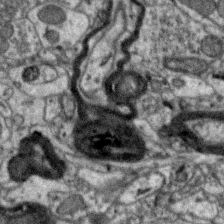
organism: Zebra finch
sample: Brain